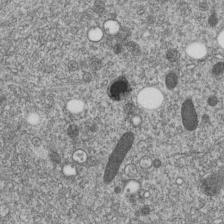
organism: C. elegans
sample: C. elegans embryo early stage